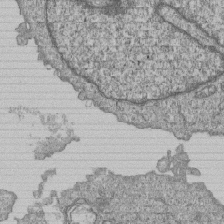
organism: Human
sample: MDA-MB-231 cells